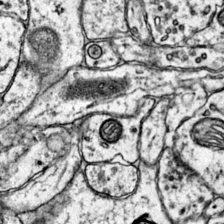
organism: Mouse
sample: Primary visual cortex